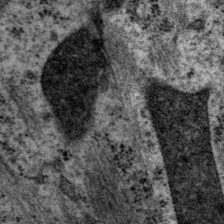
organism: P. pacificus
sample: Pharynx